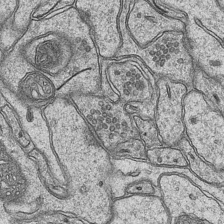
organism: Mouse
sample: CA1 Hippocampus